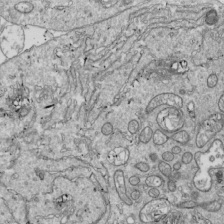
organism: Drosophila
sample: Cell division; meiosis; drosophila spermatocytes